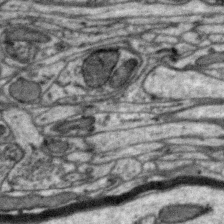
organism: Zebra finch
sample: Brain